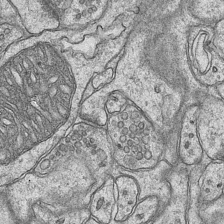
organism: Mouse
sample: CA1 Hippocampus